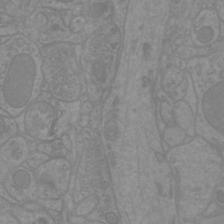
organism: Mouse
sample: Cortical neurons